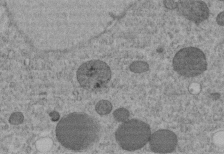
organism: C. elegans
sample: C. elegans embryo early stage